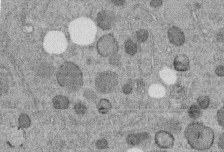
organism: C. elegans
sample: C. elegans embryo early stage